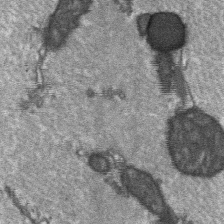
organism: C57BL Mouse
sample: Soleus